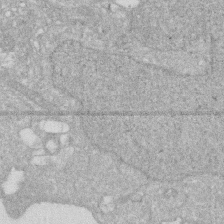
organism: Human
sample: HIV infected U937 cells